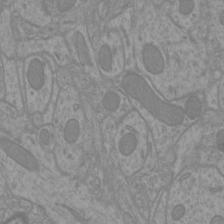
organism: Mouse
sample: Cortical neurons